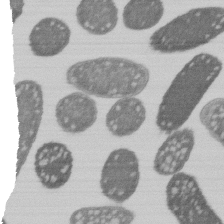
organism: E. coli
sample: Bacterial nucleoid